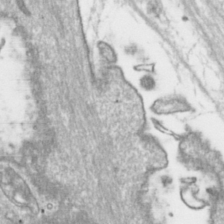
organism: Toxoplasma gondii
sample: Parasites in a vacuole inside a host cell